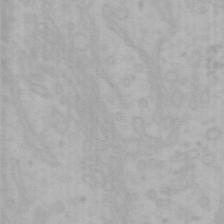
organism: Mouse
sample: Choroid plexus